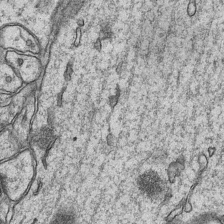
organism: Mouse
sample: CA1 Hippocampus